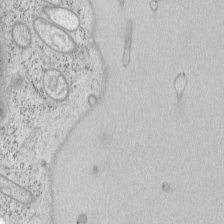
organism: Mouse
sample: OT-I killer T cells with ID8 ovarian cancer cells